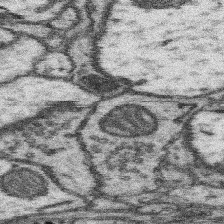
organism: Mouse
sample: Somatosensory cortex neuropil